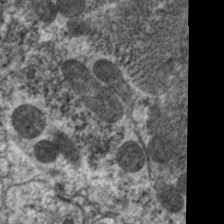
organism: C. elegans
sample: Pharynx